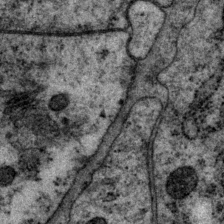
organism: P. pacificus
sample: Pharynx